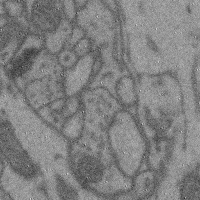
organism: Mouse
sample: Cerebral cortex